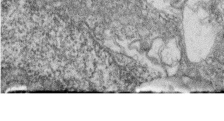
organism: Zebrafish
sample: Cilia; retinal pigment epithelium